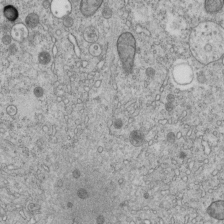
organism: C. elegans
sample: C. elegans embryo early stage